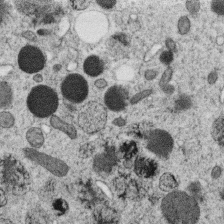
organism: C. elegans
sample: C. elegans oocyte; sperm cells